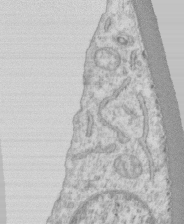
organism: Human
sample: CRL-1474